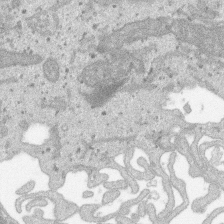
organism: Human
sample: Lung epithelial cells infected with SARS-CoV-2